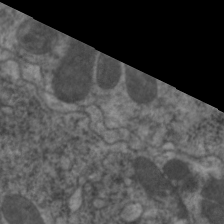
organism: C. elegans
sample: Pharynx